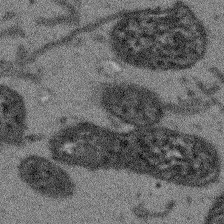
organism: Arabidopsis thaliana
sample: Root tip